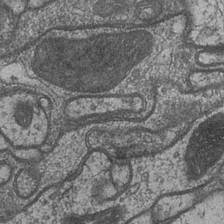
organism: Drosophila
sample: Optic medulla